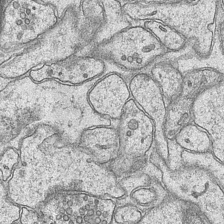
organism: Mouse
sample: CA1 Hippocampus